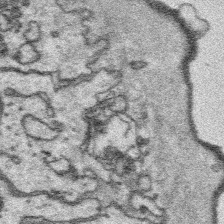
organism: Platynereis dumerilii